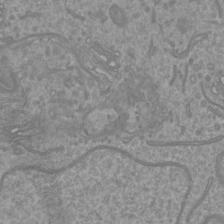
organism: Mouse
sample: Cortical neurons